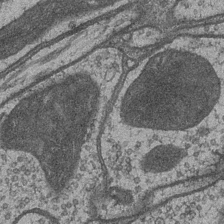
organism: Drosophila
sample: Optic medulla